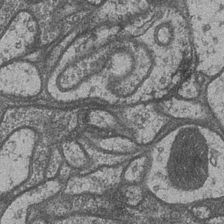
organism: Drosophila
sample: Optic medulla